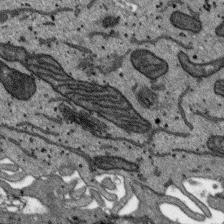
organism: Human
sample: Lung epithelial cells, uninfected (mock) control